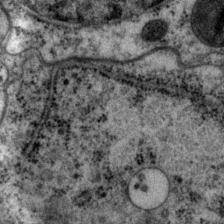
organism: P. pacificus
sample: Pharynx